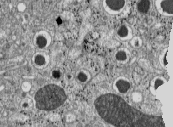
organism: C57BL Mouse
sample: Pancreatic islet